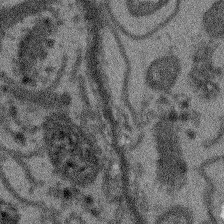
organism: Arabidopsis thaliana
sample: Root tip